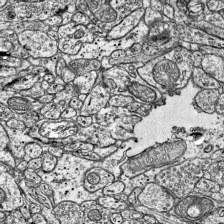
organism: Mouse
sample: Visual Cortex